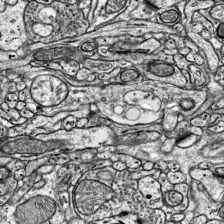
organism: Mouse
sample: Visual Cortex